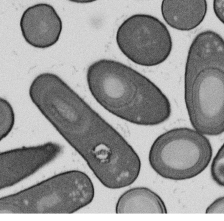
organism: B. subtilis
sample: Bacterial spore